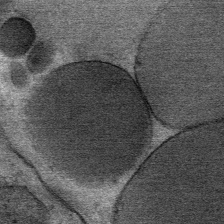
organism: Mouse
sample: Mouse Salivary gland